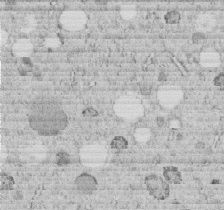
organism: C. elegans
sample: C. elegans embryo early stage